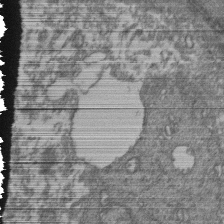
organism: Human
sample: Retinal organoid Rod and Cone cells